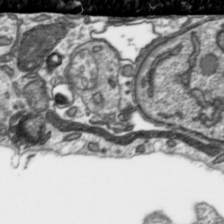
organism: Toxoplasma gondii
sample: Parasites in a vacuole inside a host cell